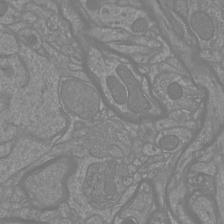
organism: Mouse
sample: Cortical neurons